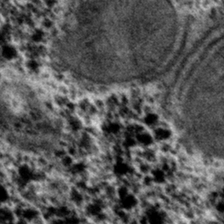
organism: Mouse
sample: Mouse hepatocytes